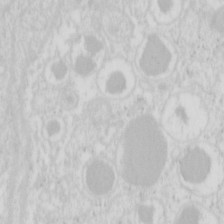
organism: Mouse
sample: Pancreas